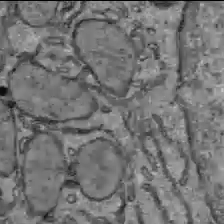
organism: C57BL Mouse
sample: Liver